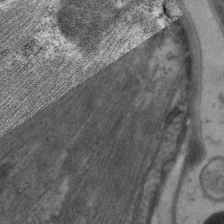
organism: C. elegans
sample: Pharynx